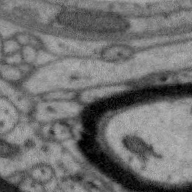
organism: Zebra finch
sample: Brain